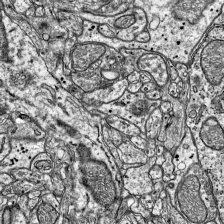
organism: Mouse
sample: Visual Cortex